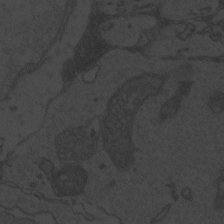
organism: Zebrafish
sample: Macrophage infected with Toxoplasma gondii